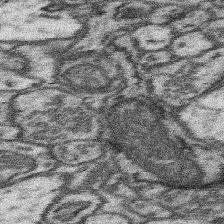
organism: Mouse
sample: Somatosensory cortex neuropil